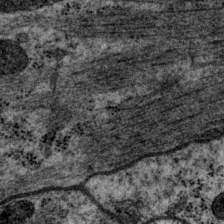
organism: P. pacificus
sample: Pharynx